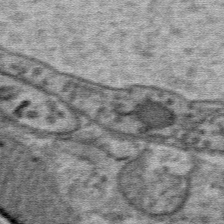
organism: Mouse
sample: Mouse Salivary gland